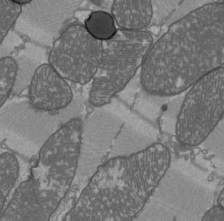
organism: C57BL Mouse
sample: Heart